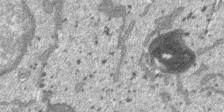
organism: Human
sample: Lung epithelial cells infected with SARS-CoV-2